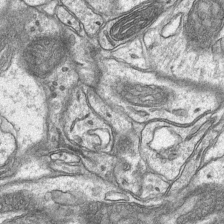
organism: Mouse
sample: CA1 Hippocampus